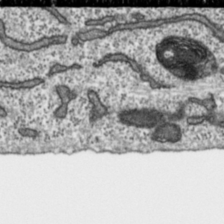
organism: Toxoplasma gondii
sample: Parasites in a vacuole inside a host cell